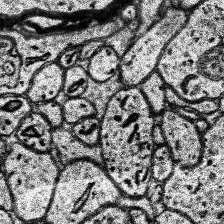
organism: Human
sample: Temporal Lobe